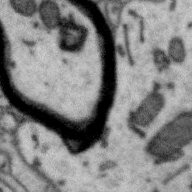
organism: Zebra finch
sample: Brain